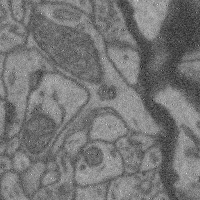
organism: Mouse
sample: Cerebral cortex